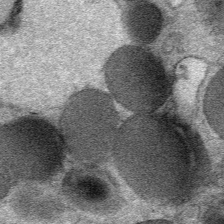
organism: Mouse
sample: Mouse Salivary gland